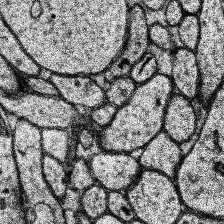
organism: Human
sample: Temporal Lobe